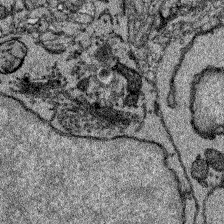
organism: Zebrafish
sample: Larval olfactory bulb